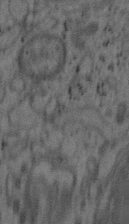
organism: Human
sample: HeLa cells